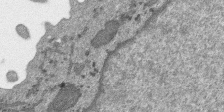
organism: Human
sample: Lung epithelial cells infected with SARS-CoV-2